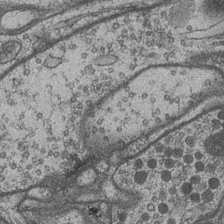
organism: Drosophila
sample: Optic medulla